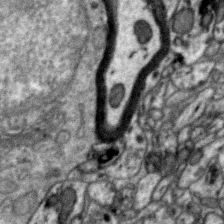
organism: Zebra finch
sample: Brain